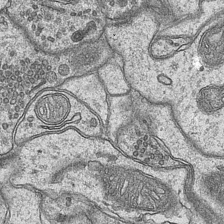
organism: Mouse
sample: CA1 Hippocampus